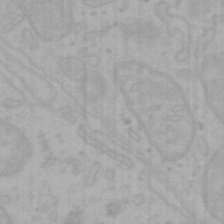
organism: Mouse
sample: Choroid plexus